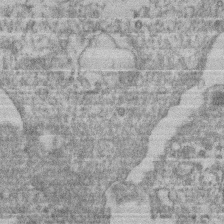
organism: Mouse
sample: T cell stromal cell synapse